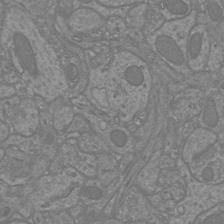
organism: Mouse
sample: Cortical neurons